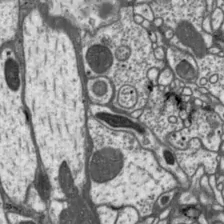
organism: Drosophila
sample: Protocerebral bridge